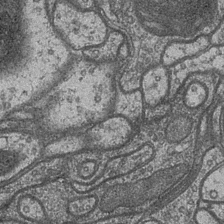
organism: Drosophila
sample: Optic medulla